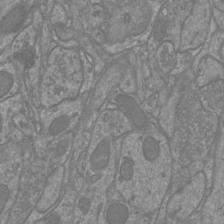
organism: Mouse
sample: Cortical neurons